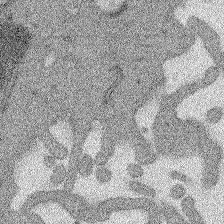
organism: Human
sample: HeLa cells